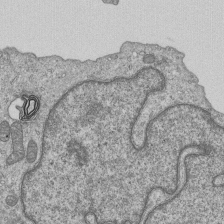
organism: Human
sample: MDA-MB-231 cells